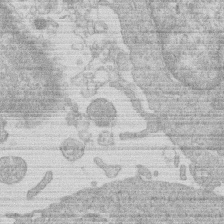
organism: Human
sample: Macrophage cells